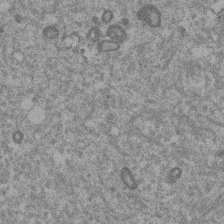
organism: Mouse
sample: Dividing mouse embryo 1 cell stage